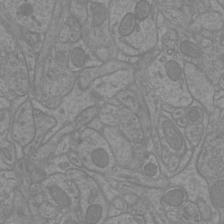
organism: Mouse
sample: Cortical neurons